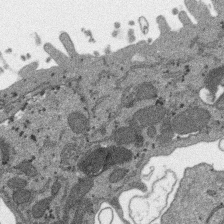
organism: Human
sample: Lung epithelial cells infected with SARS-CoV-2